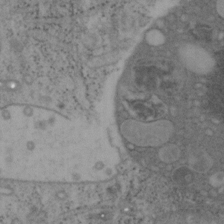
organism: Mouse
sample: OT-I killer T cells with ID8 ovarian cancer cells